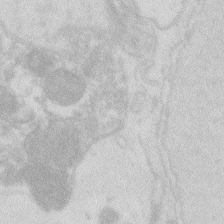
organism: Zebrafish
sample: Macrophage